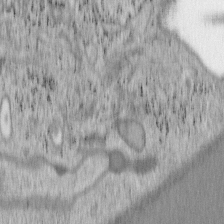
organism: Human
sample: HeLa cells